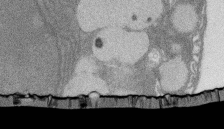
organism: Rat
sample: Salivary granule